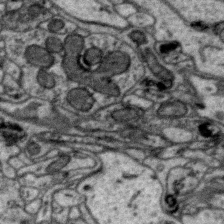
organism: Zebra finch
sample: Brain